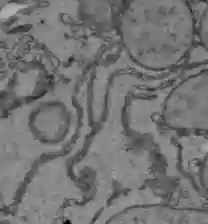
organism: C57BL Mouse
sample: Liver